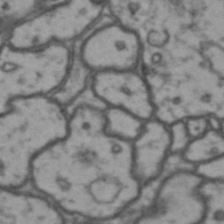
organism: Drosophila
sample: Brain